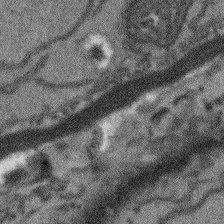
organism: Arabidopsis thaliana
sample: Root tip